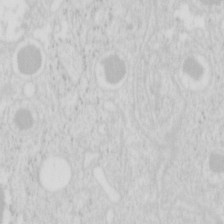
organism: Mouse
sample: Pancreas